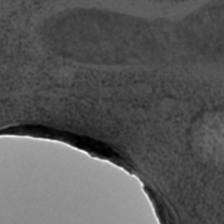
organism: C. elegans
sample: C. elegans embryo